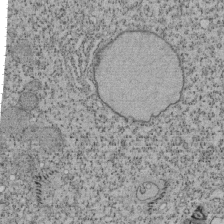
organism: Tetrahymena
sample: Cilia in tetrahymena